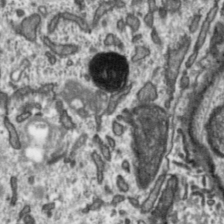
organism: Toxoplasma gondii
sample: Parasites in a vacuole inside a host cell